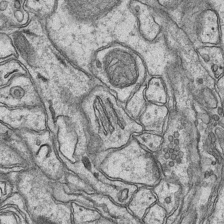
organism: Mouse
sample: CA1 Hippocampus